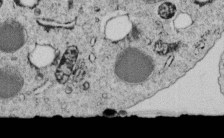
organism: C. elegans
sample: C. elegans embryo early stage